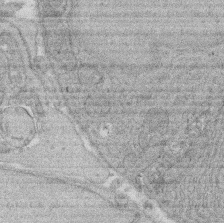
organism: Rat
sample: Salivary granule